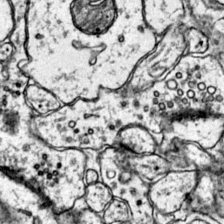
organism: Mouse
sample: Primary visual cortex